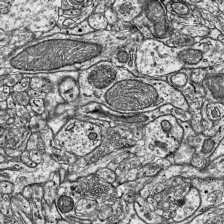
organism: Mouse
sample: Visual Cortex